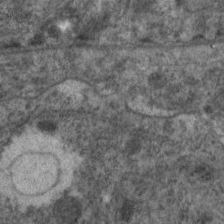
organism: C. elegans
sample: Pharynx